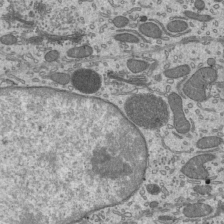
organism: Mouse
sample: Mouse epididymis efferent ductule cilia